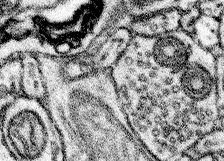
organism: Mouse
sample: Somatosensory cortex neuropil